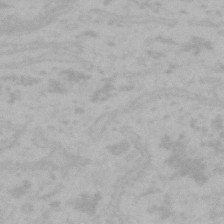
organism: Mouse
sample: Choroid plexus